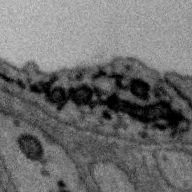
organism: Zebra finch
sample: Brain